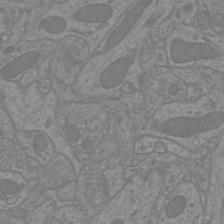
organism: Mouse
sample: Cortical neurons